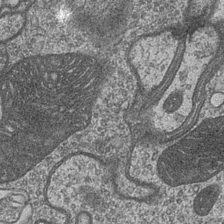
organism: Drosophila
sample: Optic medulla